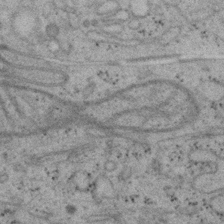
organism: Human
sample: HeLa cells